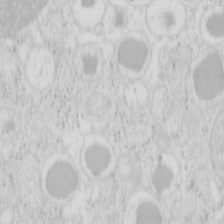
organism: Mouse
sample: Pancreas